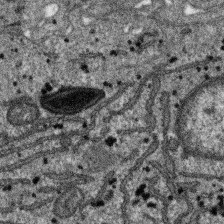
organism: Human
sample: Lung epithelial cells infected with SARS-CoV-2